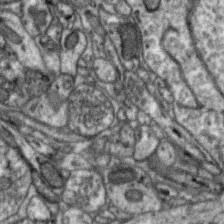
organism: Zebra finch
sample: Brain